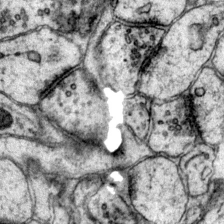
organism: Mouse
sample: Primary visual cortex